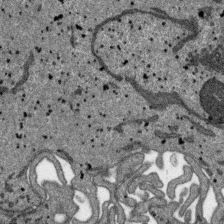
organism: Human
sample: Lung epithelial cells, uninfected (mock) control